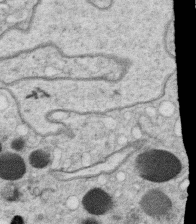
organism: C. elegans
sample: C. elegans oocyte; sperm cells